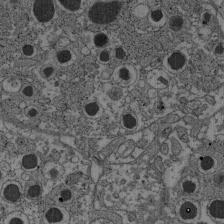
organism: C57BL Mouse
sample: Pancreatic islet